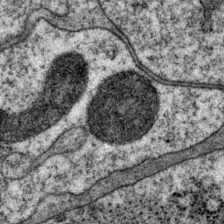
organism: P. pacificus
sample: Pharynx